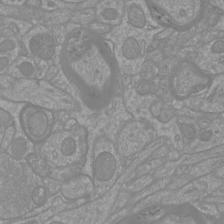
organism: Mouse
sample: Cortical neurons